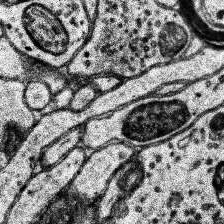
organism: Human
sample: Temporal Lobe